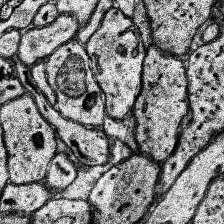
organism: Human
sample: Temporal Lobe